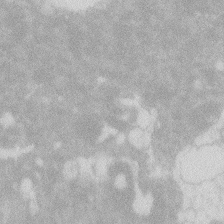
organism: Zebrafish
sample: Macrophage